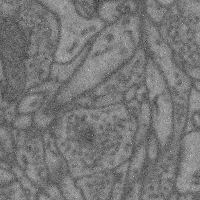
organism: Mouse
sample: Cerebral cortex